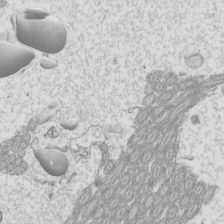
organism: Mouse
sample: Cilia; mouse epididymis